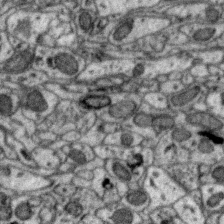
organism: Zebra finch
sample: Brain